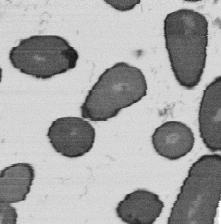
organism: B. subtilis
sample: Bacterial spore